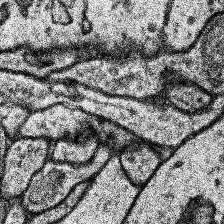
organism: Human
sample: Temporal Lobe